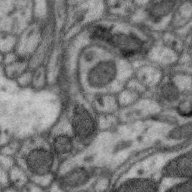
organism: Zebra finch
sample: Brain